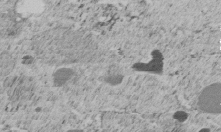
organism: C. elegans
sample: C. elegans embryo early stage